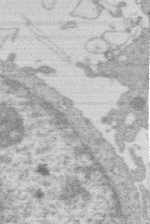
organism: Human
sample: Macrophage cells